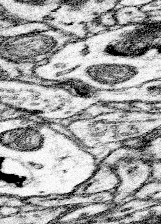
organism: Mouse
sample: Somatosensory cortex neuropil